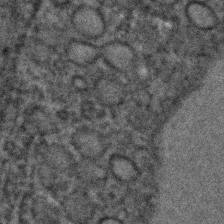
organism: C. elegans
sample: C. elegans embryo